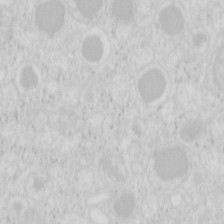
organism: Mouse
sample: Pancreas